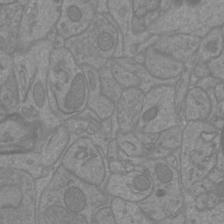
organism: Mouse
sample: Cortical neurons